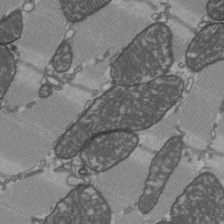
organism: C57BL Mouse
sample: Heart